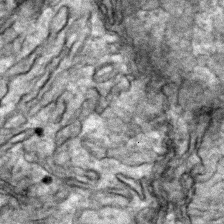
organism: Zebrafish